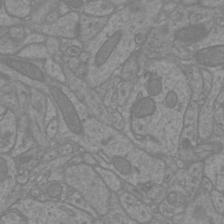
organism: Mouse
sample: Cortical neurons